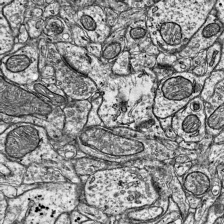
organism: Mouse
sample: Visual Cortex